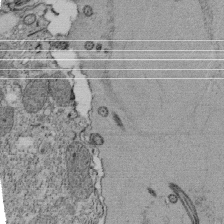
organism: Tetrahymena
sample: Cilia in tetrahymena